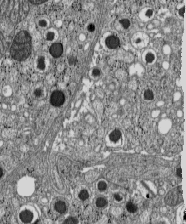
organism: C57BL Mouse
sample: Pancreatic islet